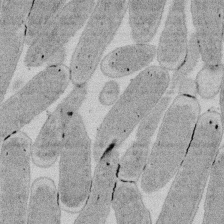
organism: E. coli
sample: Bacterial nucleoid